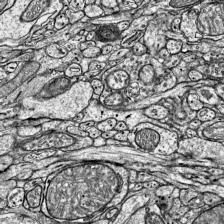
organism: Mouse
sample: Visual Cortex